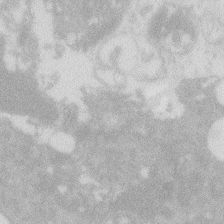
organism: Zebrafish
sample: Macrophage